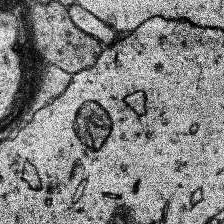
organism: Human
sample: Temporal Lobe